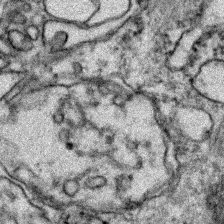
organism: Zebrafish